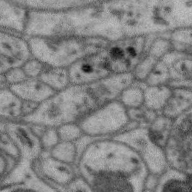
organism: Zebra finch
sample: Brain